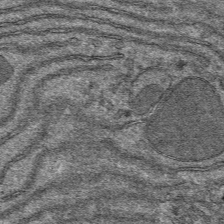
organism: Mouse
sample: Mouse hepatocytes